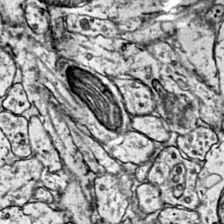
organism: Mouse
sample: Primary visual cortex